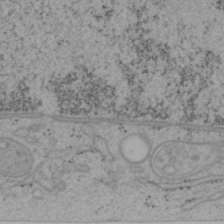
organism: Human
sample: HeLa cells